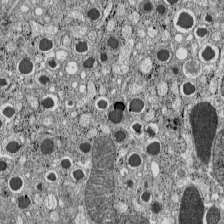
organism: C57BL Mouse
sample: Pancreatic islet